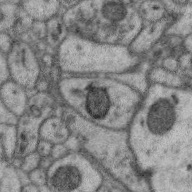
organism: Zebra finch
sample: Brain